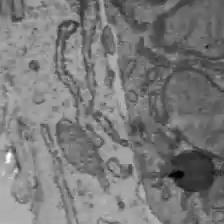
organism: C57BL Mouse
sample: Liver